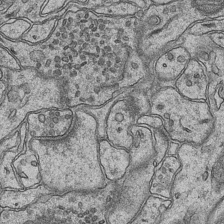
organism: Mouse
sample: CA1 Hippocampus